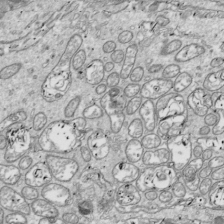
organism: Drosophila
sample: Cell division; meiosis; drosophila spermatocytes